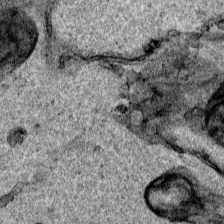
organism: Human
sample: Mitochondria in HCT116 cells